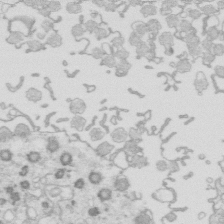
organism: Mouse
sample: Multiciliated cells